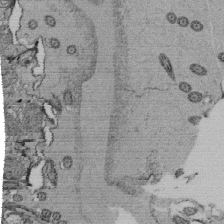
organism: Tetrahymena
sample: Cilia in tetrahymena